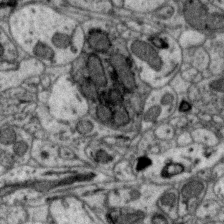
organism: Zebra finch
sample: Brain